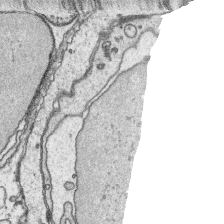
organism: Platynereis dumerilii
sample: Parapodia